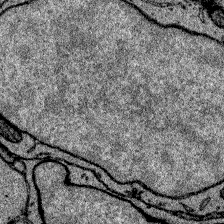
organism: Zebrafish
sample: Larval olfactory bulb